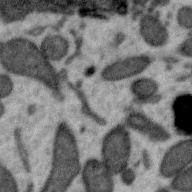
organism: Zebra finch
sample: Brain